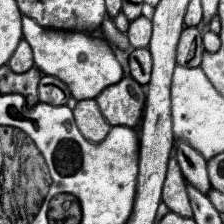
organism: Human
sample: Temporal Lobe